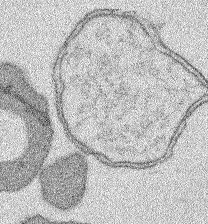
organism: Human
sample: HeLa cells